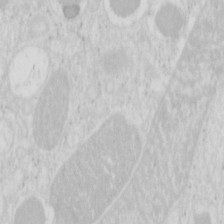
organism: Mouse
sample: Pancreas